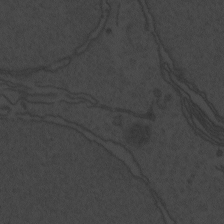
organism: Zebrafish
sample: Macrophage infected with Toxoplasma gondii